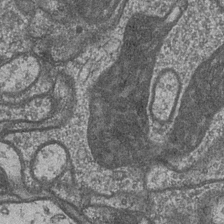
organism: Drosophila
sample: Optic medulla